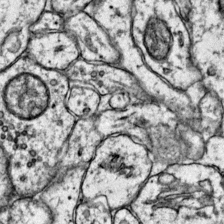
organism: Mouse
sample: Primary visual cortex